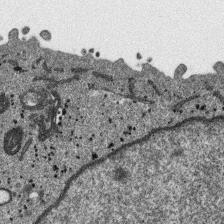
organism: Human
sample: Lung epithelial cells infected with SARS-CoV-2